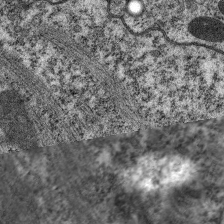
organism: C. elegans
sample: Pharynx